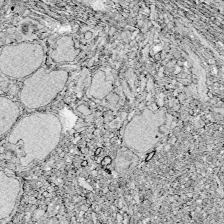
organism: Zebrafish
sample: Whole-Brain